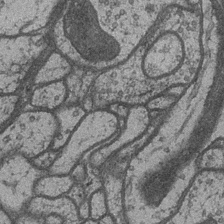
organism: Drosophila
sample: Optic medulla